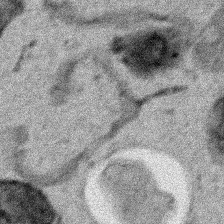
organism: Human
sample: Mitochondria in HCT116 cells